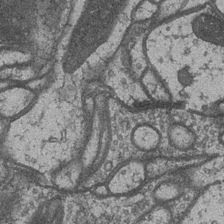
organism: Drosophila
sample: Optic medulla